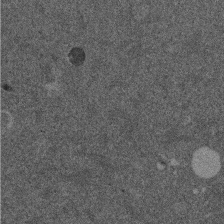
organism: Mouse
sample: Dividing mouse embryo 1 cell stage